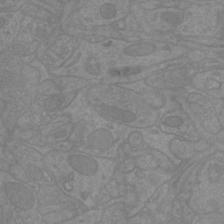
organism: Mouse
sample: Cortical neurons